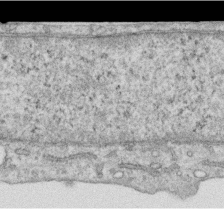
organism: Human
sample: Centriole in RPE cells